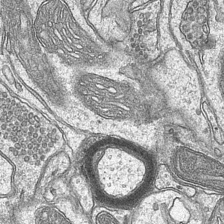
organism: Mouse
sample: CA1 Hippocampus